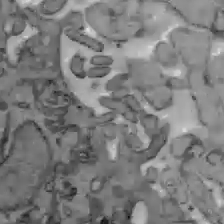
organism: C57BL Mouse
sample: Liver